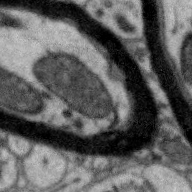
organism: Zebra finch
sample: Brain